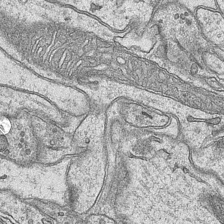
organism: Mouse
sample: CA1 Hippocampus